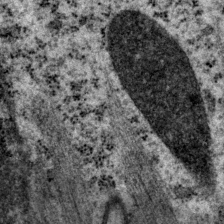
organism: P. pacificus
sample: Pharynx